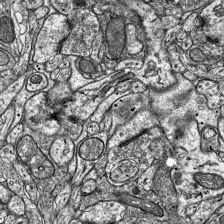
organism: Mouse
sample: Visual Cortex